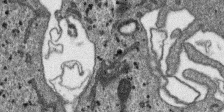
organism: Human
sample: Lung epithelial cells infected with SARS-CoV-2